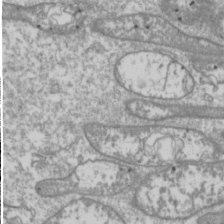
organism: Drosophila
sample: Cell division; meiosis; drosophila spermatocytes